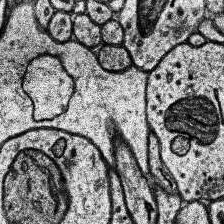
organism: Human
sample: Temporal Lobe